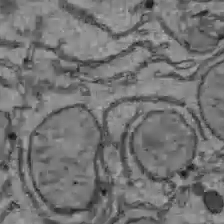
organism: C57BL Mouse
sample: Liver